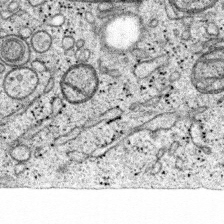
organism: Human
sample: HeLa cells